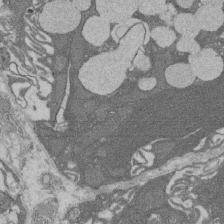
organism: Rat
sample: Salivary granule